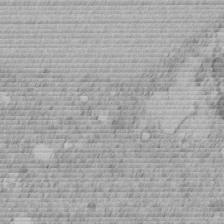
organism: C. elegans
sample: C. elegans embryo early stage